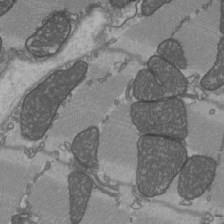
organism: C57BL Mouse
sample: Heart